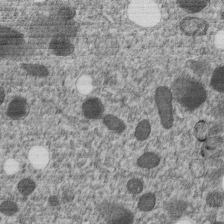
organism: C. elegans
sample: C. elegans embryo early stage